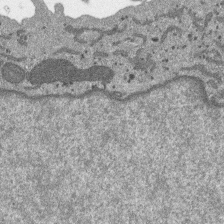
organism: Human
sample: Lung epithelial cells infected with SARS-CoV-2